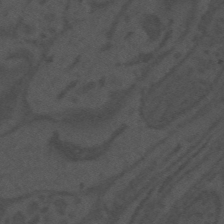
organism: Mouse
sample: Suprachiasmatic nucleus